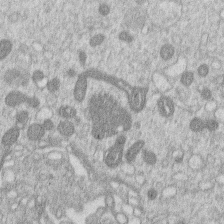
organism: Human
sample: Macrophage cells